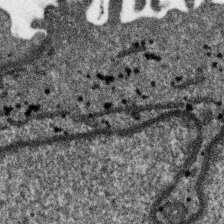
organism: Human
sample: Lung epithelial cells infected with SARS-CoV-2